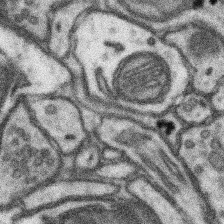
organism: Mouse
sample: Somatosensory cortex neuropil